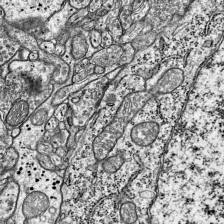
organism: Mouse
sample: Visual Cortex